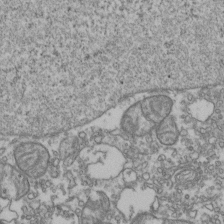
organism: Human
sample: Activated Jurkat CD4+ T cells